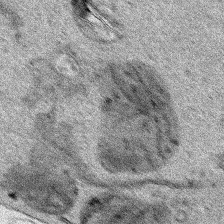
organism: Human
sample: Mitochondria in HCT116 cells